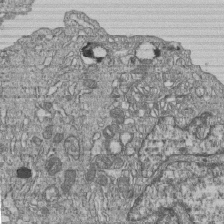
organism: Human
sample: MDA-MB-231 cells